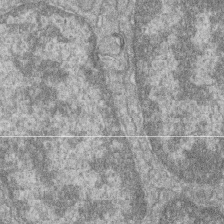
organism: Zebrafish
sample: Cilia; retinal pigment epithelium